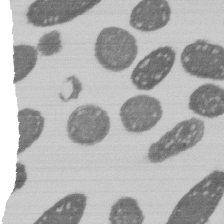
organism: E. coli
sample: Bacterial nucleoid